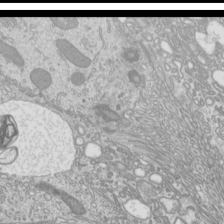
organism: Mouse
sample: Cilia; mouse epididymis